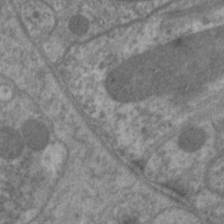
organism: C. elegans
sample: Pharynx